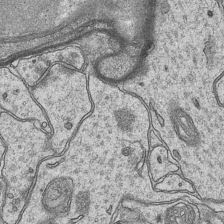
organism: Mouse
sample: CA1 Hippocampus